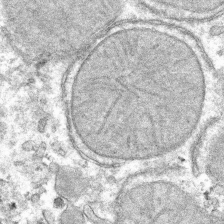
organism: Mouse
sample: Mouse hepatocytes